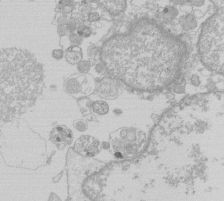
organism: Human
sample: Macrophage cells